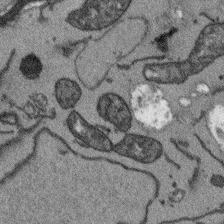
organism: Arabidopsis thaliana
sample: Root tip